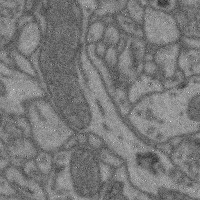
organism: Mouse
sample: Cerebral cortex